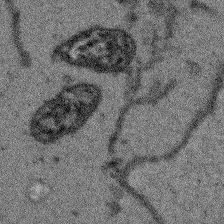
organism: Arabidopsis thaliana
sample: Root tip